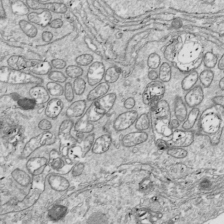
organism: Drosophila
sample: Cell division; meiosis; drosophila spermatocytes